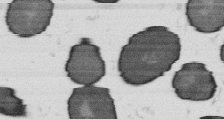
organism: B. subtilis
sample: Bacterial spore